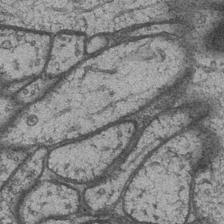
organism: Drosophila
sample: Optic medulla